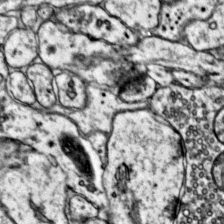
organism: Mouse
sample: Primary visual cortex